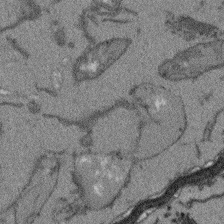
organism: Arabidopsis thaliana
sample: Root tip